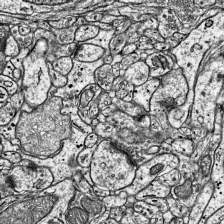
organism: Mouse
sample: Visual Cortex